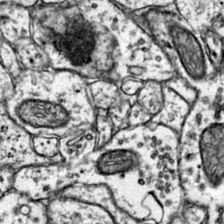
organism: Mouse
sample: Primary visual cortex